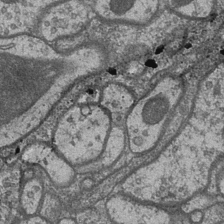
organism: Drosophila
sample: Optic medulla